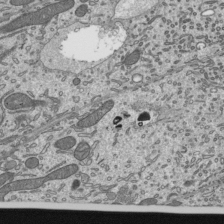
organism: Mouse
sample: Mouse epididymis efferent ductule cilia